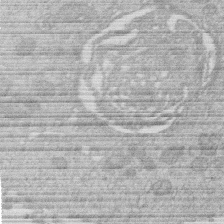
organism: Human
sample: Macrophage cells